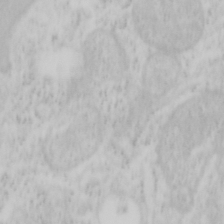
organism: Mouse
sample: OT-I killer T cells with ID8 ovarian cancer cells